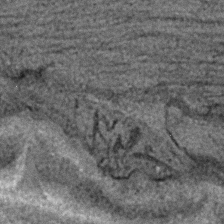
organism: C. elegans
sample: C. elegans embryo